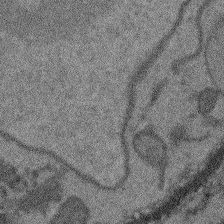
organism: Arabidopsis thaliana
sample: Root tip